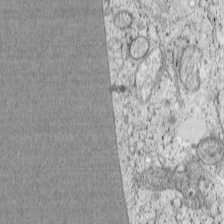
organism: African green monkey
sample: COS-7 cells